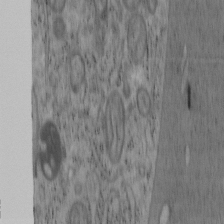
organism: Human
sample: HeLa cells